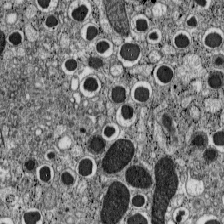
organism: C57BL Mouse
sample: Pancreatic islet